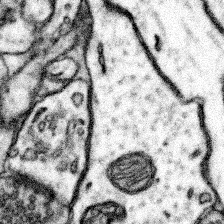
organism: Mouse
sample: Somatosensory cortex neuropil